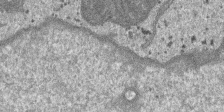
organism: Human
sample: Lung epithelial cells infected with SARS-CoV-2